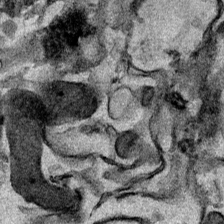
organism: Mouse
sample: Cancer cell death in ED-1 cells